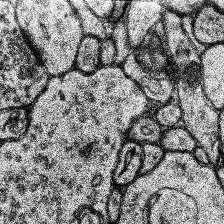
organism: Human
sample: Temporal Lobe